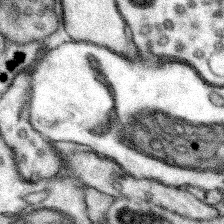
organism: Mouse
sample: Somatosensory cortex neuropil